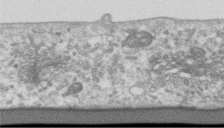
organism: Human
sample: Centriole in RPE cells